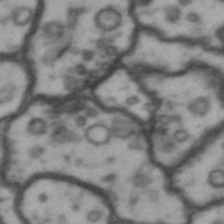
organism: Drosophila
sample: Brain